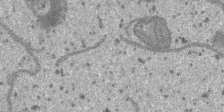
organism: Human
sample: Lung epithelial cells infected with SARS-CoV-2